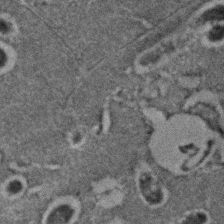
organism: C. elegans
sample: C. elegans embryo